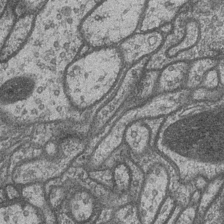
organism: Drosophila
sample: Optic medulla